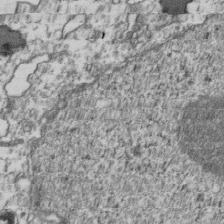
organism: Human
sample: Activated Jurkat CD4+ T cells